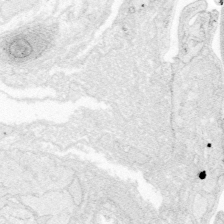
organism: Zebrafish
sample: Whole-Brain